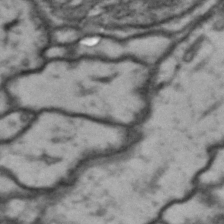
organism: Drosophila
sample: Brain